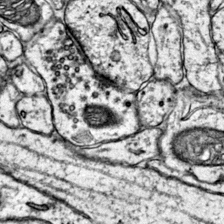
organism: Mouse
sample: Primary visual cortex